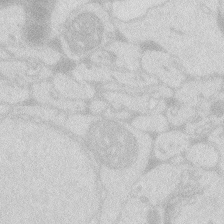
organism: Zebrafish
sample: Macrophage